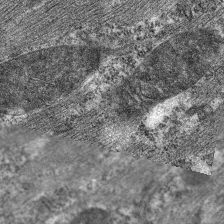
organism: C. elegans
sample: Pharynx